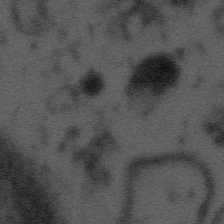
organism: Tuwongella immobilis